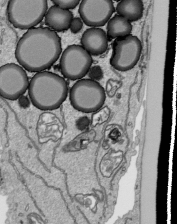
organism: Human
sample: Mitochondria in HCT116 cells